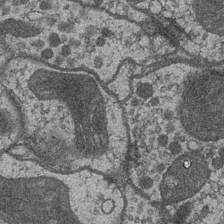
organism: Drosophila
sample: Optic medulla